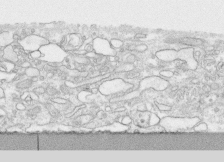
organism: Human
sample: CRL-1474